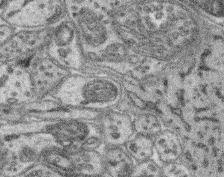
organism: Mouse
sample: Retina